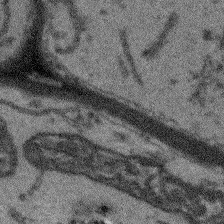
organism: Arabidopsis thaliana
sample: Root tip